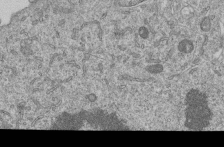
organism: Human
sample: MDA-MB-231 cells